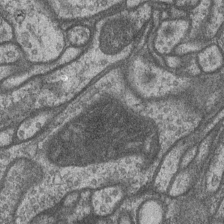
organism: Drosophila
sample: Optic medulla